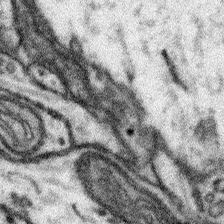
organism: Mouse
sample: Somatosensory cortex neuropil